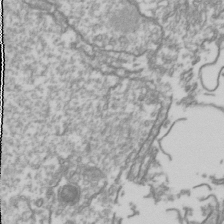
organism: Drosophila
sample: Cell division; meiosis; drosophila spermatocytes